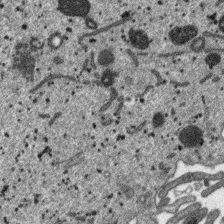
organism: Human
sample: Lung epithelial cells infected with SARS-CoV-2